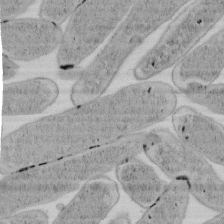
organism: E. coli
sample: Bacterial nucleoid